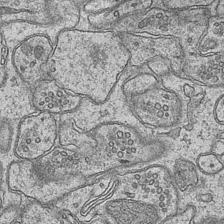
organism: Mouse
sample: CA1 Hippocampus